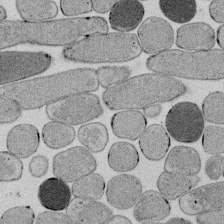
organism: E. coli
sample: Bacterial nucleoid